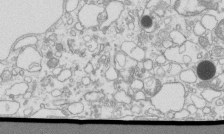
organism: Mouse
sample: Macrophages